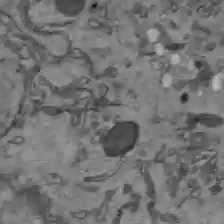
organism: C57BL Mouse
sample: Liver